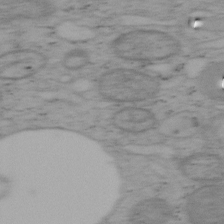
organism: Mouse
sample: OT-I killer T cells with ID8 ovarian cancer cells